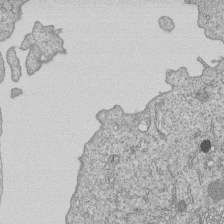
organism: Human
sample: MDA-MB-231 cells